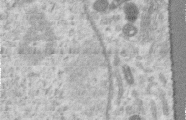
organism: Human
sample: Centriole in RPE cells